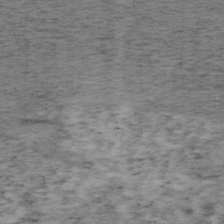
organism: Mouse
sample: OT-I killer T cells with ID8 ovarian cancer cells